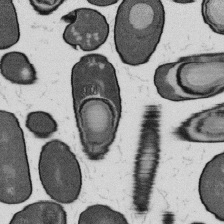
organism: B. subtilis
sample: Bacterial spore